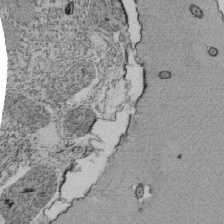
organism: Tetrahymena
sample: Cilia in tetrahymena